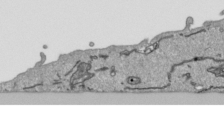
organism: Human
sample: Mitochondria in HCT116 cells